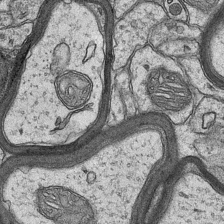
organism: Mouse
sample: CA1 Hippocampus